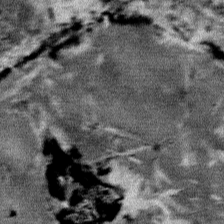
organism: Mouse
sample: Mouse Salivary gland